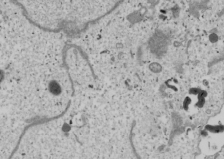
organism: Human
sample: Mitochondria in U2OS cells